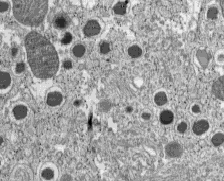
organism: C57BL Mouse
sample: Pancreatic islet